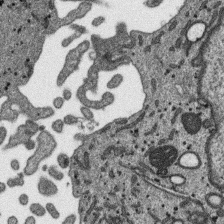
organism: Human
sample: Lung epithelial cells infected with SARS-CoV-2